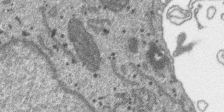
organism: Human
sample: Lung epithelial cells infected with SARS-CoV-2